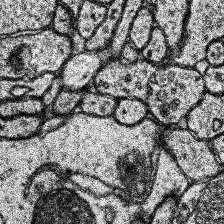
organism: Human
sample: Temporal Lobe